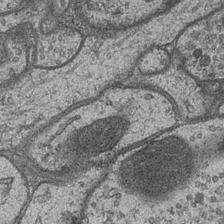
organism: Drosophila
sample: Optic medulla